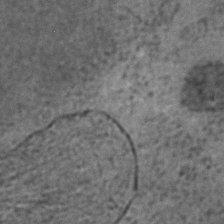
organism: C. elegans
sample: C. elegans embryo